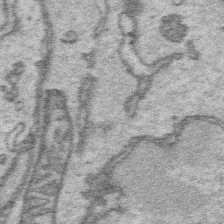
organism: Platynereis dumerilii